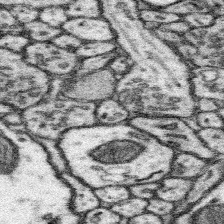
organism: Mouse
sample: Somatosensory cortex neuropil